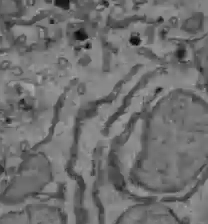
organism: C57BL Mouse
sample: Liver